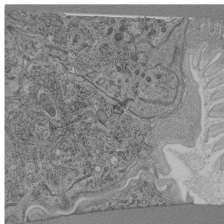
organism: C. elegans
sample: C. elegans pharynx